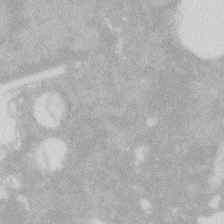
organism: Zebrafish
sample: Macrophage